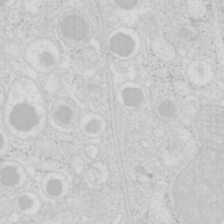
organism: Mouse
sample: Pancreas